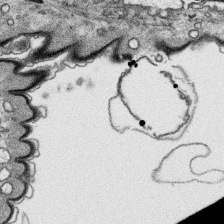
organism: Platynereis dumerilii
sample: Parapodia